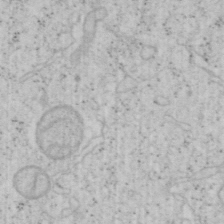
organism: Human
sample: HeLa cells